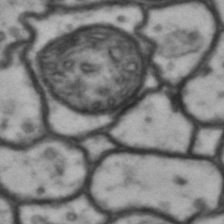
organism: Drosophila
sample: Brain